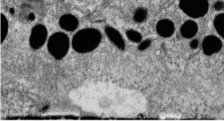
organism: Zebrafish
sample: Cilia; retinal pigment epithelium